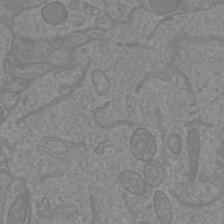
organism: Mouse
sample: Cortical neurons